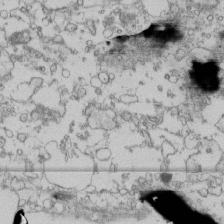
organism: Human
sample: Fibroblast cells